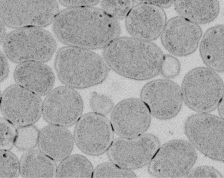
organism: E. coli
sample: Bacterial nucleoid